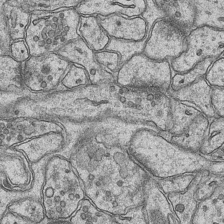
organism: Mouse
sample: CA1 Hippocampus